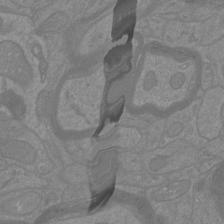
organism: Mouse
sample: Cortical neurons